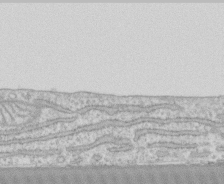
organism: Human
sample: CRL-1474